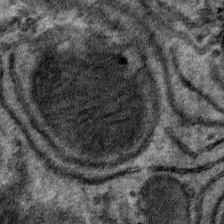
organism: Mouse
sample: Mouse hepatocytes